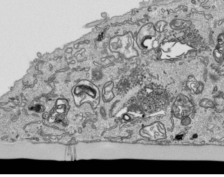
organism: Human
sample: Mitochondria in HCT116 cells